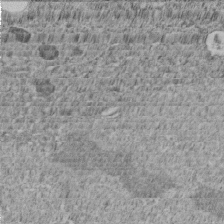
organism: C. elegans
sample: C. elegans embryo early stage